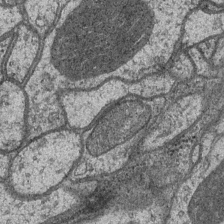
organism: Drosophila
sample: Optic medulla